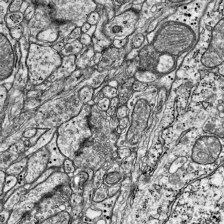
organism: Mouse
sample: Visual Cortex